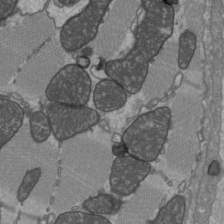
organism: C57BL Mouse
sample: Heart